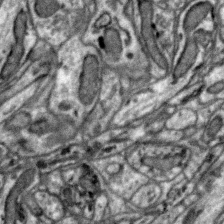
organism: Zebra finch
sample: Brain